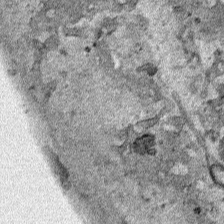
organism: Human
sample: Mitochondria in HCT116 cells